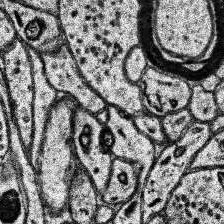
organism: Human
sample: Temporal Lobe